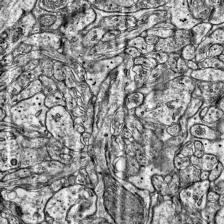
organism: Mouse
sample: Visual Cortex